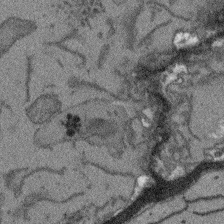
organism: Arabidopsis thaliana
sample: Root tip